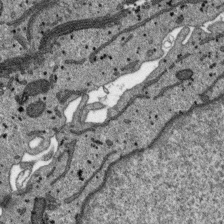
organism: Human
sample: Lung epithelial cells, uninfected (mock) control